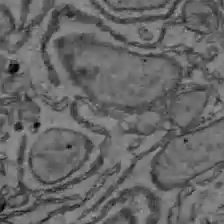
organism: C57BL Mouse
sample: Liver